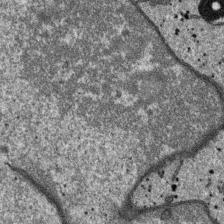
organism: Human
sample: Lung epithelial cells, uninfected (mock) control